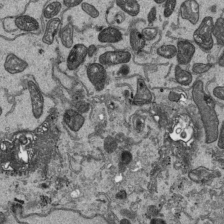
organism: Human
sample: Mitochondria in HCT116 cells